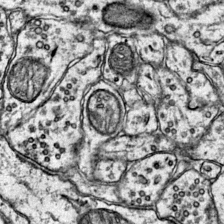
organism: Mouse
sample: Primary visual cortex